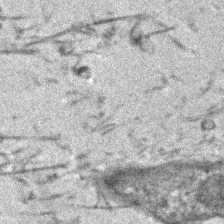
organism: Human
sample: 1205lu cells